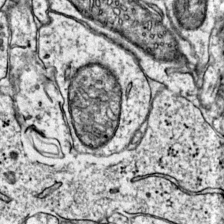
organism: Mouse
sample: Primary visual cortex